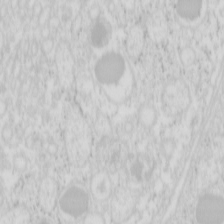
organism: Mouse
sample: Pancreas